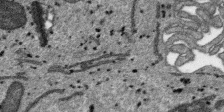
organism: Human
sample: Lung epithelial cells, uninfected (mock) control